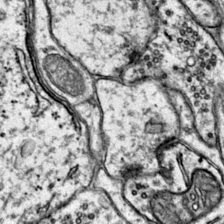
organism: Mouse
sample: Primary visual cortex